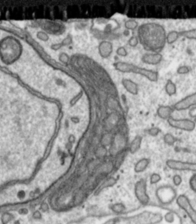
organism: Toxoplasma gondii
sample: Parasites in a vacuole inside a host cell